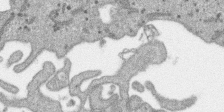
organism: Human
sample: Lung epithelial cells infected with SARS-CoV-2